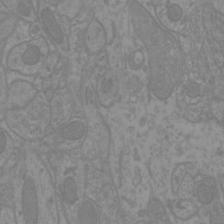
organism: Mouse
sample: Cortical neurons